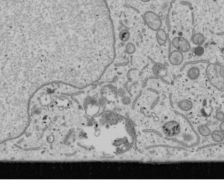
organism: Human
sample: Mitochondria in U2OS cells